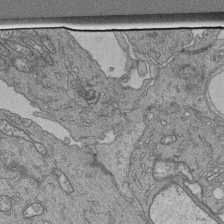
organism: Human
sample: Retinal organoid Rod and Cone cells